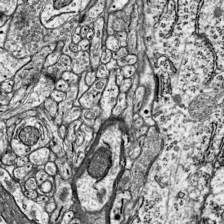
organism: Mouse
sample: Visual Cortex